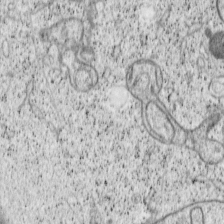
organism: African green monkey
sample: COS-7 cells